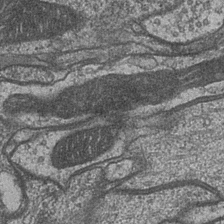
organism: Drosophila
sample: Optic medulla